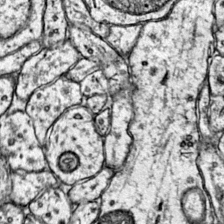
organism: Mouse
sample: Primary visual cortex